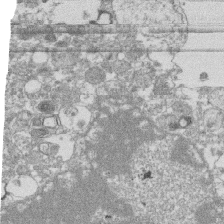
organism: Human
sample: HeLa cell HIV synapse